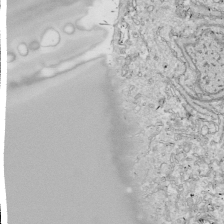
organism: Drosophila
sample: Cell division; meiosis; drosophila spermatocytes